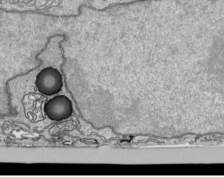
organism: Human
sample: Mitochondria in HCT116 cells